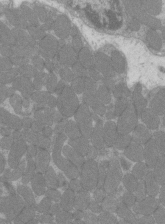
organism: C57BL Mouse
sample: Tibialis anterior muscle cell